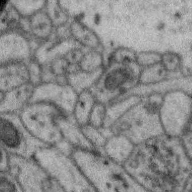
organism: Zebra finch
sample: Brain